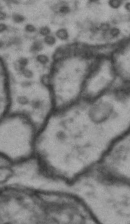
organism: Drosophila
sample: Brain